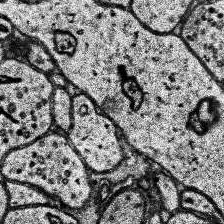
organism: Human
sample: Temporal Lobe